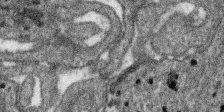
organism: Human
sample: Lung epithelial cells infected with SARS-CoV-2